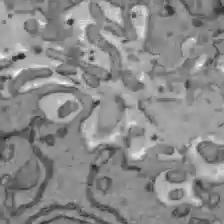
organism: C57BL Mouse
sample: Liver